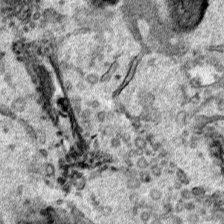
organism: Human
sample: Mitochondria in HCT116 cells